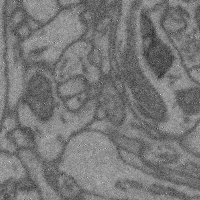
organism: Mouse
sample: Cerebral cortex